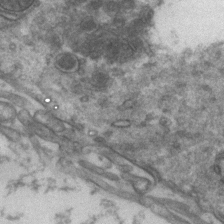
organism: Zebrafish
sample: Zebrafish embryo